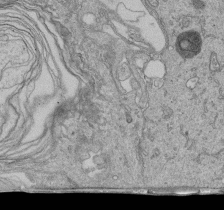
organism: Human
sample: Retinal organoid Rod and Cone cells